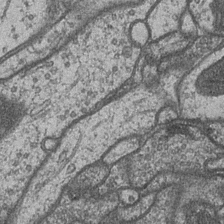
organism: Drosophila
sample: Optic medulla